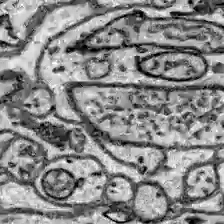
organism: Zebrafish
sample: Brain